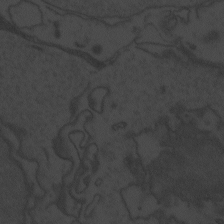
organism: Zebrafish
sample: Macrophage infected with Toxoplasma gondii